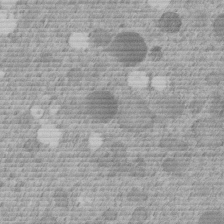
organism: C. elegans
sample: C. elegans embryo early stage